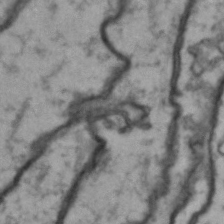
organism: Drosophila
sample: Brain